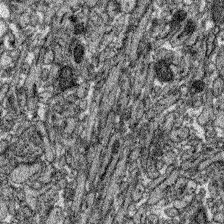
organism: Zebrafish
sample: Larval olfactory bulb